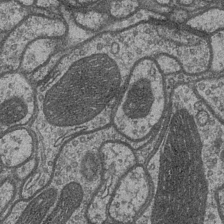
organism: Drosophila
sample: Optic medulla